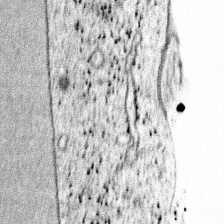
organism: Human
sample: HeLa cells